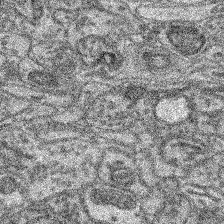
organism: Mouse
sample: Retina